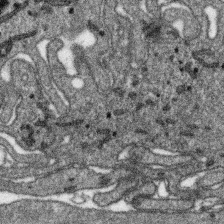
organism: Human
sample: Lung epithelial cells infected with SARS-CoV-2